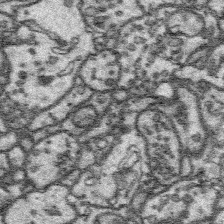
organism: Platynereis dumerilii